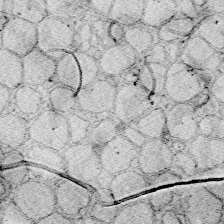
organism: Zebrafish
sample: Whole-Brain